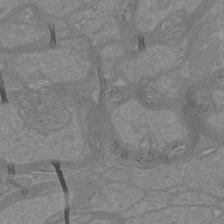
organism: Mouse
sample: Cortical neurons